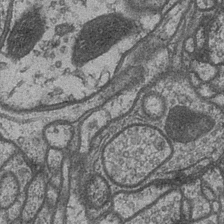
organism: Drosophila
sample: Optic medulla